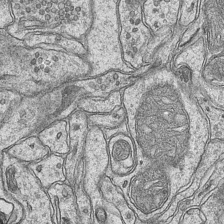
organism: Mouse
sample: CA1 Hippocampus